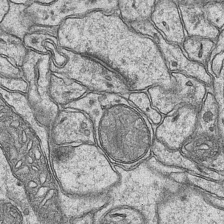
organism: Mouse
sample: CA1 Hippocampus